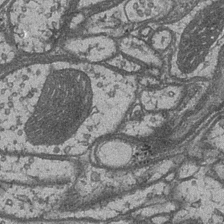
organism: Drosophila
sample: Optic medulla